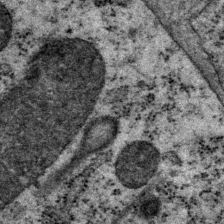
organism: P. pacificus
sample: Pharynx